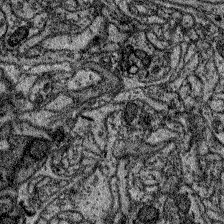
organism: Zebrafish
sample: Larval olfactory bulb